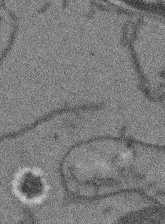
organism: Arabidopsis thaliana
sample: Root tip